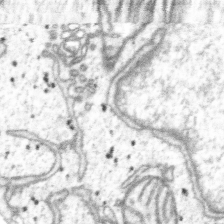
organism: Human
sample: HeLa cells